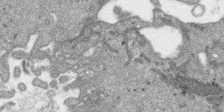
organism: Human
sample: Lung epithelial cells infected with SARS-CoV-2